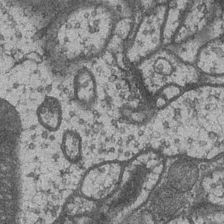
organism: Drosophila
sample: Optic medulla